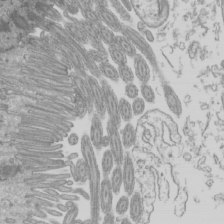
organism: Mouse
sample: Cilia; mouse epididymis